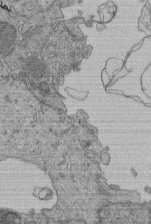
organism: Human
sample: Retinal organoid Rod and Cone cells